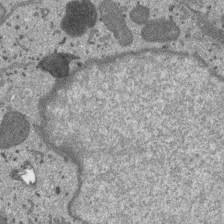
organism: Human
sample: Lung epithelial cells infected with SARS-CoV-2